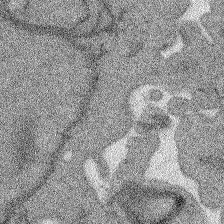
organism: Human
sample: HeLa cells